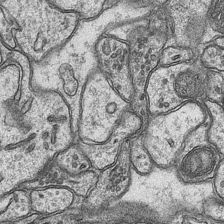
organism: Mouse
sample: CA1 Hippocampus